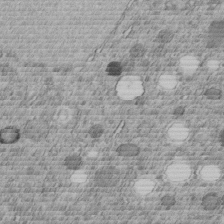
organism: C. elegans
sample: C. elegans embryo early stage